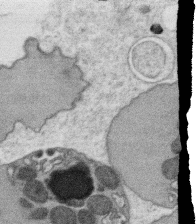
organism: C. elegans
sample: C. elegans oocyte; sperm cells